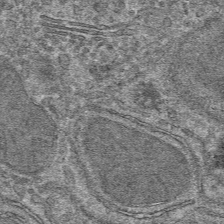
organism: Mouse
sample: Mouse hepatocytes